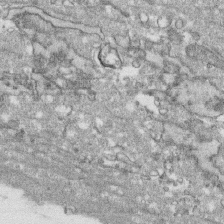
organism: Human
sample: CRL-1474